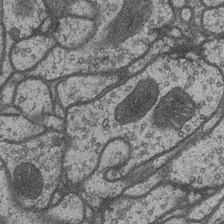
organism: Drosophila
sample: Optic medulla